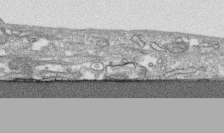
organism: Human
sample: CRL-1474